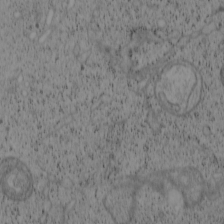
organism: African green monkey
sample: COS-7 cells